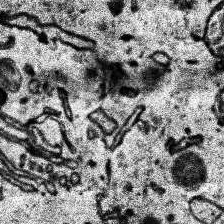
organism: Human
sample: Temporal Lobe